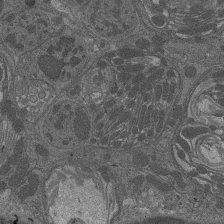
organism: Drosophila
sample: Antenna